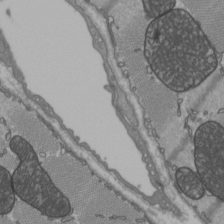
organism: C57BL Mouse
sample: Heart